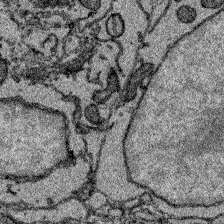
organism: Zebrafish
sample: Larval olfactory bulb